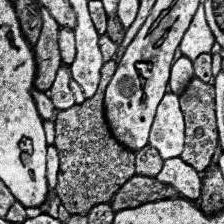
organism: Human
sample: Temporal Lobe